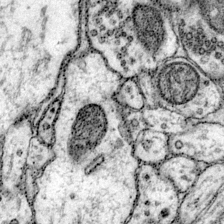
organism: Mouse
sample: Primary visual cortex